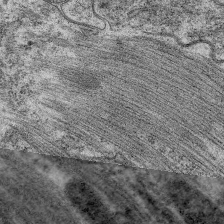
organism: C. elegans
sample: Pharynx